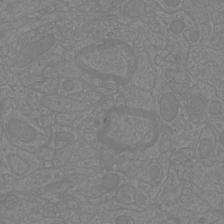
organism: Mouse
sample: Cortical neurons